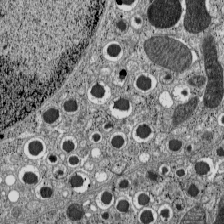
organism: C57BL Mouse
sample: Pancreatic islet